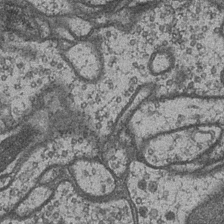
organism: Drosophila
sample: Optic medulla